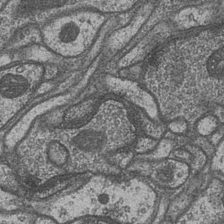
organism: Drosophila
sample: Optic medulla